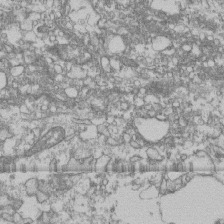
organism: Human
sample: Fibroblast cells